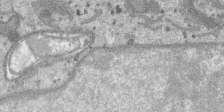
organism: Human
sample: Lung epithelial cells infected with SARS-CoV-2